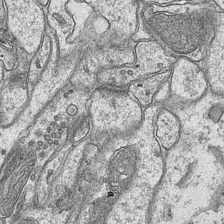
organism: Mouse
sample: CA1 Hippocampus